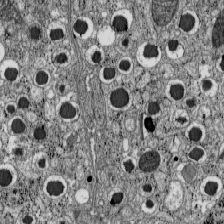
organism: C57BL Mouse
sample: Pancreatic islet